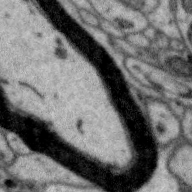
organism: Zebra finch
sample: Brain